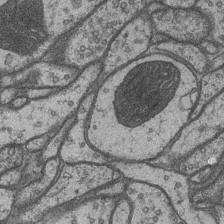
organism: Drosophila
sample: Optic medulla